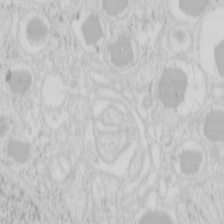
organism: Mouse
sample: Pancreas